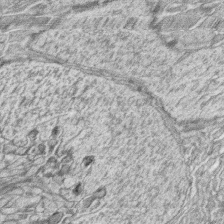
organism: Zebrafish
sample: synaptic ribbons in rod cells and cone cells